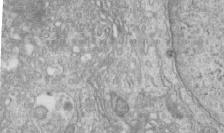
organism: Human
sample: Centriole in RPE cells